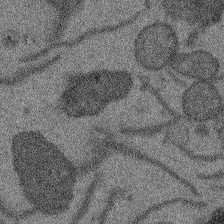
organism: Arabidopsis thaliana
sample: Root tip